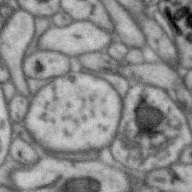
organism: Zebra finch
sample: Brain